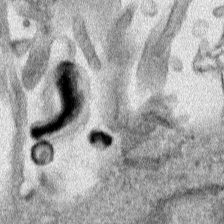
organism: Human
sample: Mitochondria in HCT116 cells